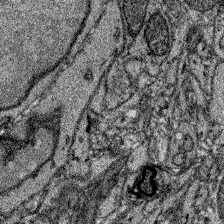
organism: Zebrafish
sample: Larval olfactory bulb